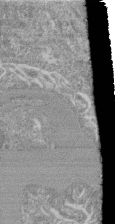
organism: Mouse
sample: Glomerulus